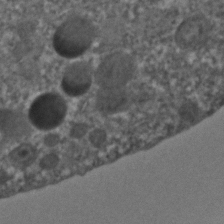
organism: C. elegans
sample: C. elegans embryo